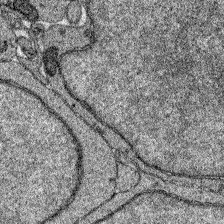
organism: Zebrafish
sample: Larval olfactory bulb